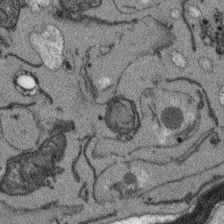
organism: Arabidopsis thaliana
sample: Root tip